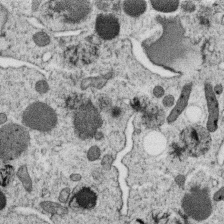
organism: C. elegans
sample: C. elegans oocyte; sperm cells